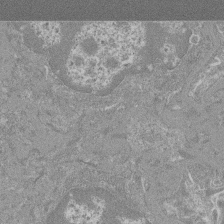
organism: Mouse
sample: Glomerulus